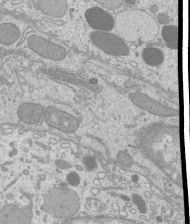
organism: Mouse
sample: Cilia; mouse epididymis